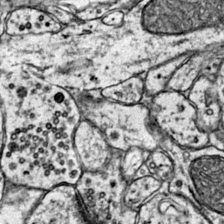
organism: Mouse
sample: Primary visual cortex